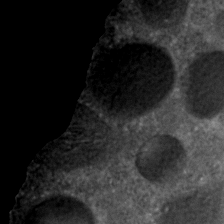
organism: C. elegans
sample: C. elegans embryo